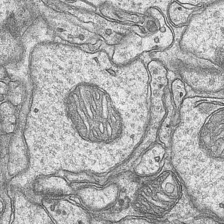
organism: Mouse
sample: CA1 Hippocampus